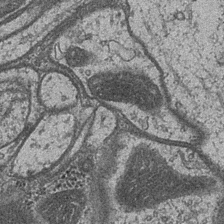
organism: Drosophila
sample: Optic medulla